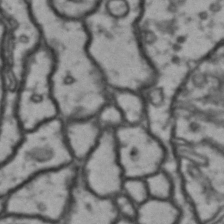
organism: Drosophila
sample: Brain